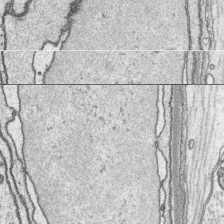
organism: Platynereis dumerilii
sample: Parapodia